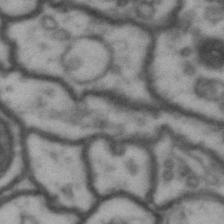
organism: Drosophila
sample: Brain